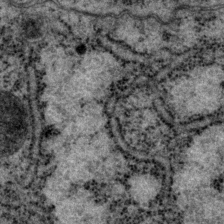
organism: P. pacificus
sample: Pharynx